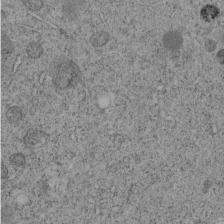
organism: C. elegans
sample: C. elegans embryo early stage